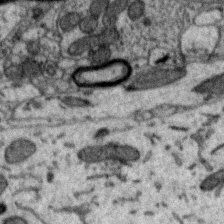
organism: Zebra finch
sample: Brain